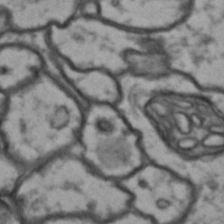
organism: Drosophila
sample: Brain